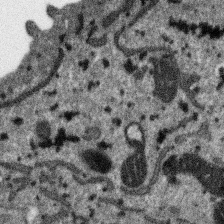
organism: Human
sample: Lung epithelial cells infected with SARS-CoV-2